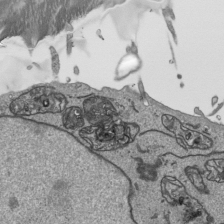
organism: Human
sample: Mitochondria in HCT116 cells